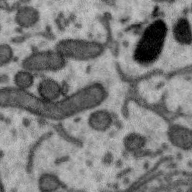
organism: Zebra finch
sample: Brain